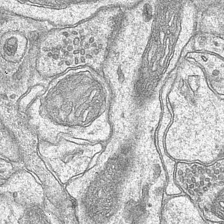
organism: Mouse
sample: CA1 Hippocampus